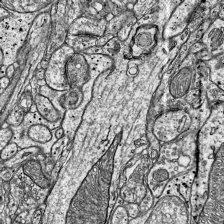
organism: Mouse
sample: Visual Cortex